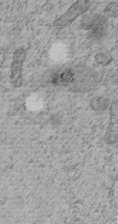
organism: C. elegans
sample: C. elegans embryo early stage